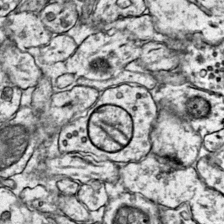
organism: Mouse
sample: Primary visual cortex